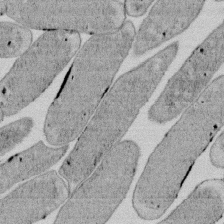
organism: E. coli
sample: Bacterial nucleoid